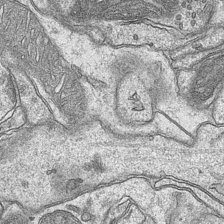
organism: Mouse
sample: CA1 Hippocampus